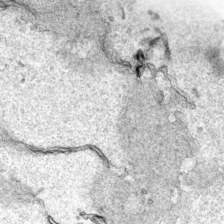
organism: Human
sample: Mitochondria in HCT116 cells